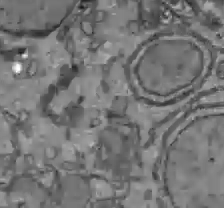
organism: C57BL Mouse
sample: Liver